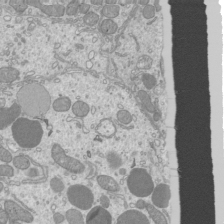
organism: Mouse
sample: Cilia; mouse epididymis